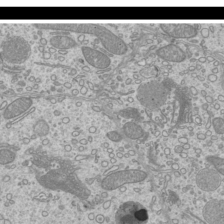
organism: Mouse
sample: Cilia; mouse epididymis